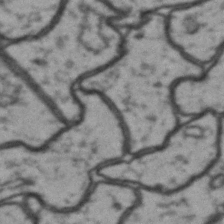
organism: Drosophila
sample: Brain